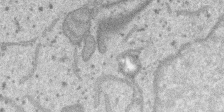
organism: Human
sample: Lung epithelial cells infected with SARS-CoV-2